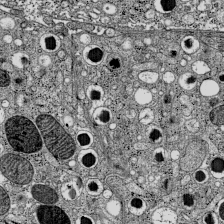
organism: C57BL Mouse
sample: Pancreatic islet